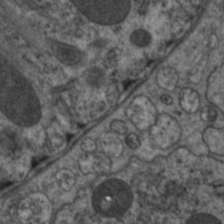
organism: C. elegans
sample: Pharynx